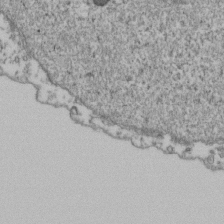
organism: Human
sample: Activated Jurkat CD4+ T cells